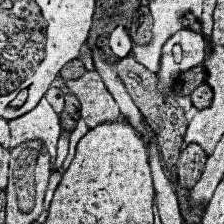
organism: Human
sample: Temporal Lobe